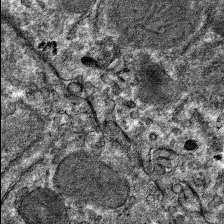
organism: Mouse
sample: Mouse hepatocytes